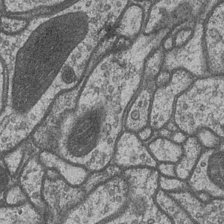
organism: Drosophila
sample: Optic medulla